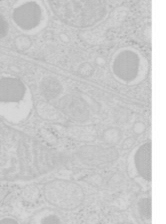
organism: Mouse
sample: Pancreas